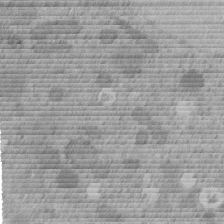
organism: C. elegans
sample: C. elegans embryo early stage